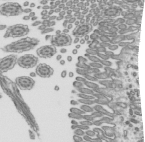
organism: Mouse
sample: Mouse epididymis efferent ductule cilia